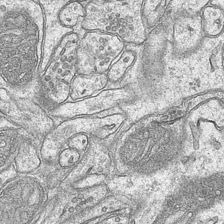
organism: Mouse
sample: CA1 Hippocampus